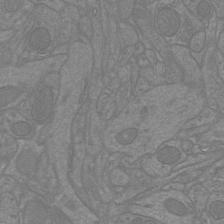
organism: Mouse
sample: Cortical neurons